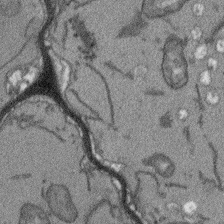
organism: Arabidopsis thaliana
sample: Root tip